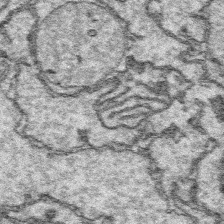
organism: Platynereis dumerilii